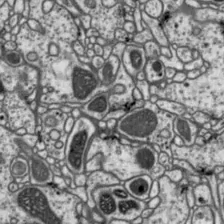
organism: Drosophila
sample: Protocerebral bridge